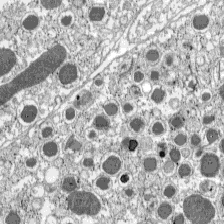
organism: C57BL Mouse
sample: Pancreatic islet